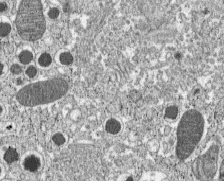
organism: C57BL Mouse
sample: Pancreatic islet